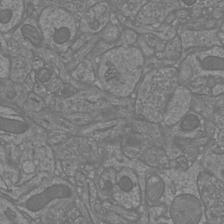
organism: Mouse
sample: Cortical neurons